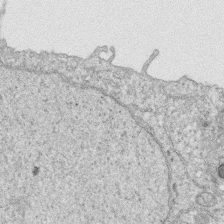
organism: Human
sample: HeLa cell HIV synapse